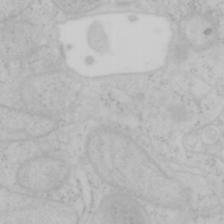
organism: Mouse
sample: OT-I killer T cells with ID8 ovarian cancer cells